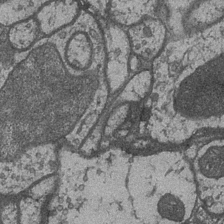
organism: Drosophila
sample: Optic medulla